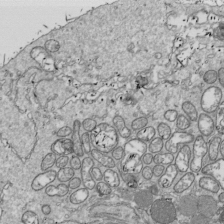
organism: Drosophila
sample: Cell division; meiosis; drosophila spermatocytes